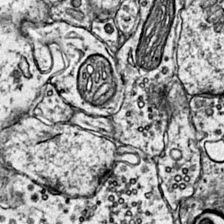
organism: Mouse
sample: Primary visual cortex